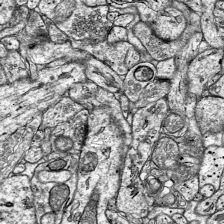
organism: Mouse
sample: Visual Cortex